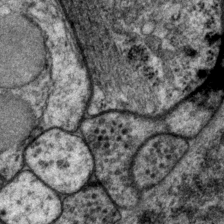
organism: P. pacificus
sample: Pharynx